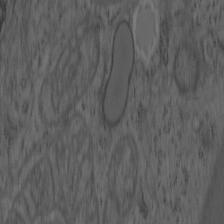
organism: Human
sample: HeLa cells